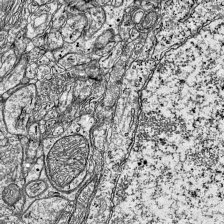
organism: Mouse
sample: Visual Cortex